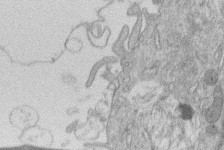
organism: Human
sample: Macrophage cells